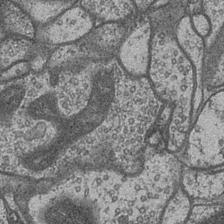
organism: Drosophila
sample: Optic medulla